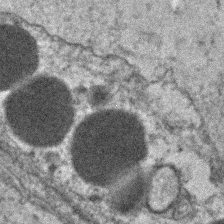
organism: Human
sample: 1205lu cells